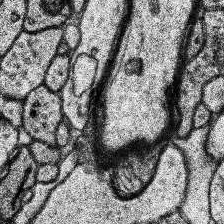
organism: Human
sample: Temporal Lobe